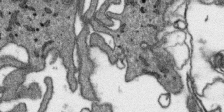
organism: Human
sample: Lung epithelial cells, uninfected (mock) control